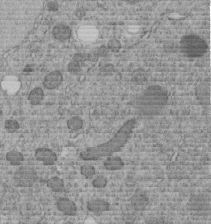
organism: C. elegans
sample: C. elegans embryo early stage